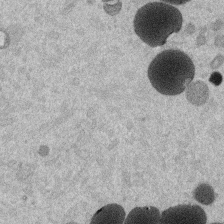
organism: Mouse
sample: Dividing mouse embryo 1 cell stage